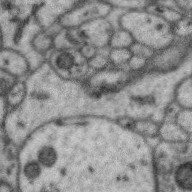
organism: Zebra finch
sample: Brain